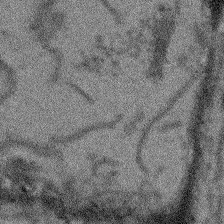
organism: Arabidopsis thaliana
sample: Root tip